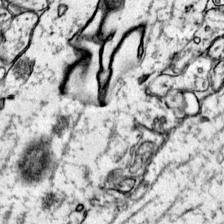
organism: Mouse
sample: Primary visual cortex